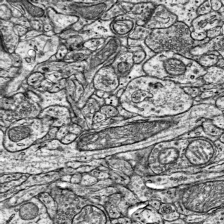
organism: Mouse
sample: Visual Cortex